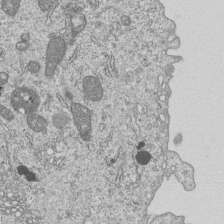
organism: Human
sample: MDA-MB-231 cells